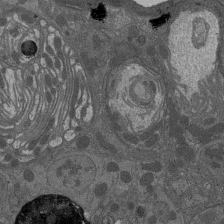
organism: Drosophila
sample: Antenna